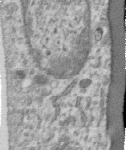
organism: Human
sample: Centriole in RPE cells